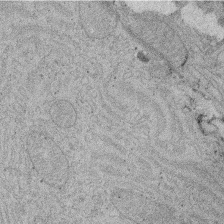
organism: Rat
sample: Salivary granule